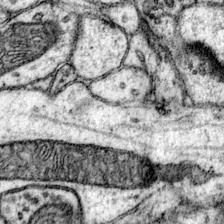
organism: Mouse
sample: Primary visual cortex